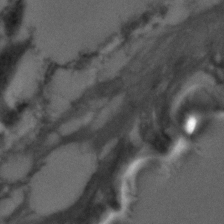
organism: C. elegans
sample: C. elegans embryo